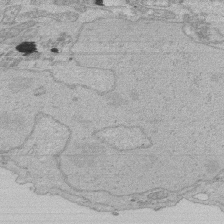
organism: Human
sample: Activated Jurkat CD4+ T cells